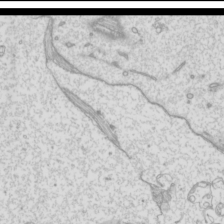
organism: Mouse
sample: Cilia; mouse epididymis